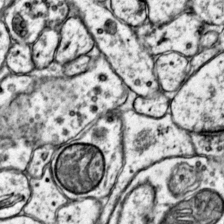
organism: Mouse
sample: Primary visual cortex